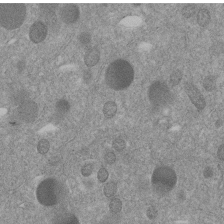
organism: C. elegans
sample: C. elegans embryo early stage